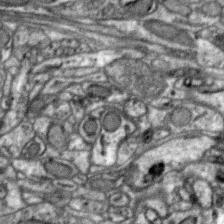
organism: Zebra finch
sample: Brain